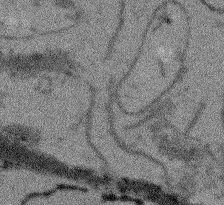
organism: Arabidopsis thaliana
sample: Root tip